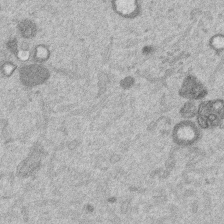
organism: Mouse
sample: Dividing mouse embryo 1 cell stage